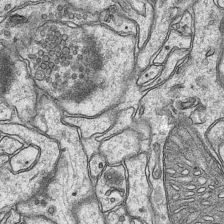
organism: Mouse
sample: CA1 Hippocampus